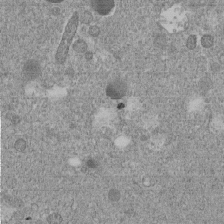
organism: C. elegans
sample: C. elegans embryo early stage